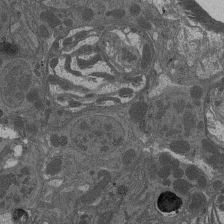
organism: Drosophila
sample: Antenna